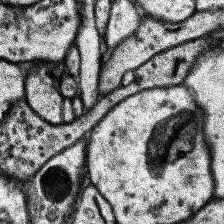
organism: Human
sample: Temporal Lobe